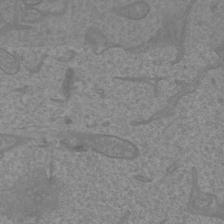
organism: Mouse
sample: Cortical neurons